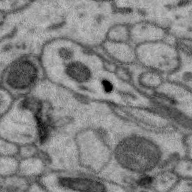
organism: Zebra finch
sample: Brain